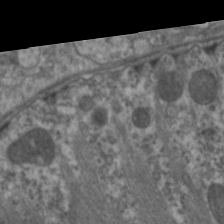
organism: C. elegans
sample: Pharynx